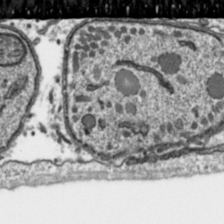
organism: Toxoplasma gondii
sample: Parasites in a vacuole inside a host cell